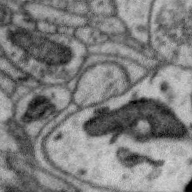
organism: Zebra finch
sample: Brain